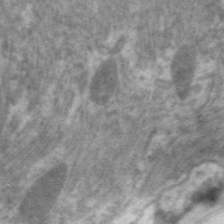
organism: C. elegans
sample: Pharynx